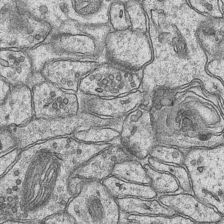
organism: Mouse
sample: CA1 Hippocampus